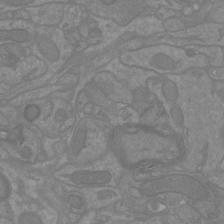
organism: Mouse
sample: Cortical neurons